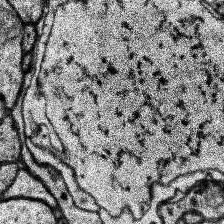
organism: Human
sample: Temporal Lobe